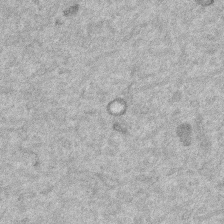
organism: Mouse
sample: Dividing mouse embryo 1 cell stage